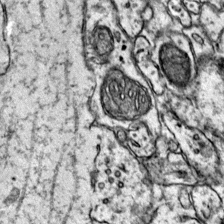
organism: Mouse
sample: Primary visual cortex